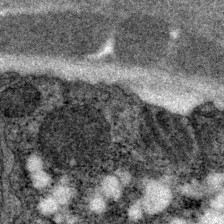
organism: P. pacificus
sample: Pharynx